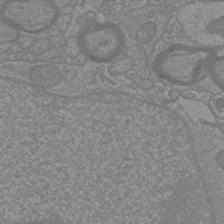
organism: Mouse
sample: Cortical neurons